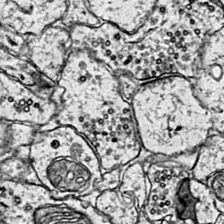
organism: Mouse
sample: Primary visual cortex